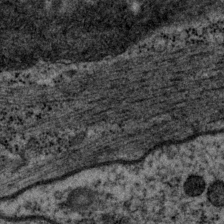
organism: P. pacificus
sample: Pharynx